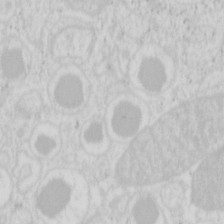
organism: Mouse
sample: Pancreas